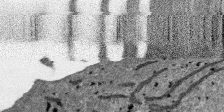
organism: Human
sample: Lung epithelial cells, uninfected (mock) control